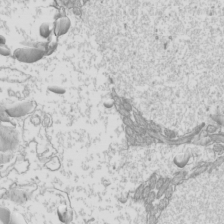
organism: Mouse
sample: Cilia; mouse epididymis